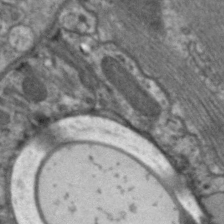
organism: C. elegans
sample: Pharynx